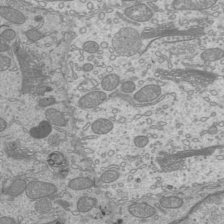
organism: Mouse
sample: Cilia; mouse epididymis